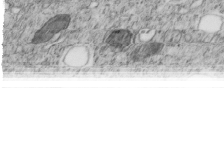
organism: C. elegans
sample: C. elegans embryo early stage